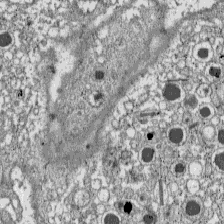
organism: C57BL Mouse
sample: Pancreatic islet